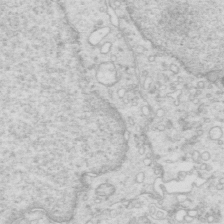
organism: Mouse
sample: Multiciliated cells